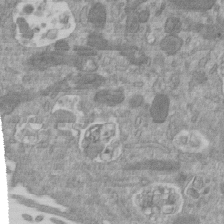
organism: Mouse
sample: ED-1 cell nuclei; centrioles